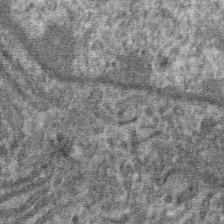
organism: Mouse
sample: Mouse hepatocytes